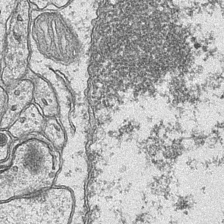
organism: Mouse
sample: CA1 Hippocampus